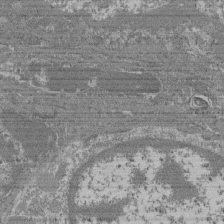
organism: Mouse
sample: Glomerulus